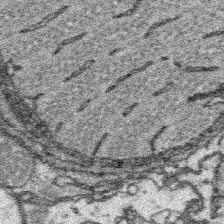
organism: Platynereis dumerilii